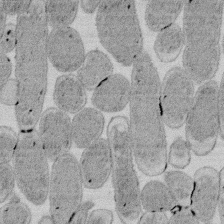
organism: E. coli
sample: Bacterial nucleoid